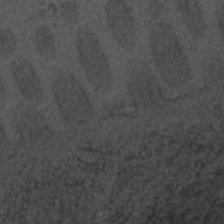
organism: C. elegans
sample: C. elegans embryo